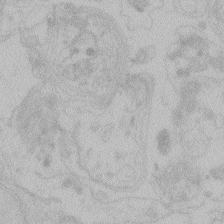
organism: Zebrafish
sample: Macrophage infected with Toxoplasma gondii